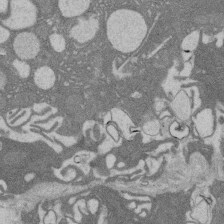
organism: Rat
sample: Salivary granule